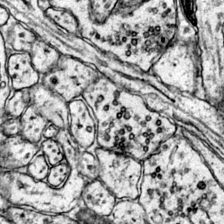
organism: Mouse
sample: Primary visual cortex